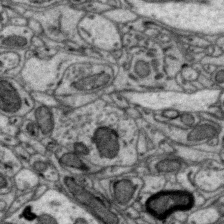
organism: Zebra finch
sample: Brain